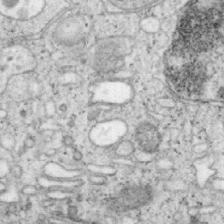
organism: Mouse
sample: OT-I killer T cells with ID8 ovarian cancer cells